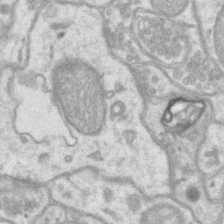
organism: Mouse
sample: CA1 Hippocampus